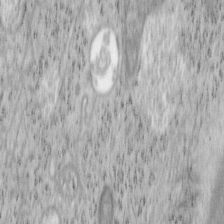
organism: Human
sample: HeLa cells